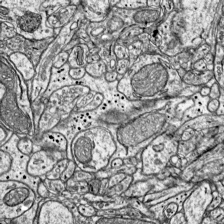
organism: Mouse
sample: Visual Cortex